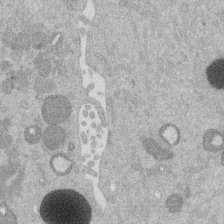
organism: Mouse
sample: Dividing mouse embryo 1 cell stage